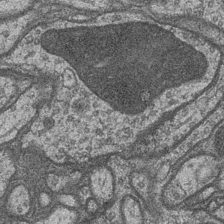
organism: Drosophila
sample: Optic medulla